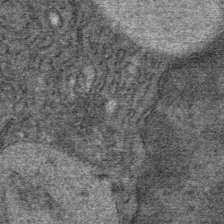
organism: Mouse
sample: Mouse Salivary gland